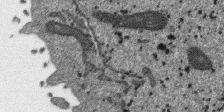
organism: Human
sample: Lung epithelial cells infected with SARS-CoV-2